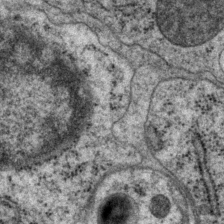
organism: P. pacificus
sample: Pharynx